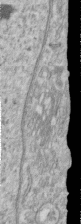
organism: Human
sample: Centriole in RPE cells